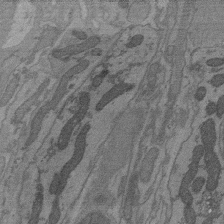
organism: C. elegans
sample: AFD neurons C. elegans